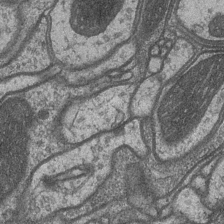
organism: Drosophila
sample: Optic medulla